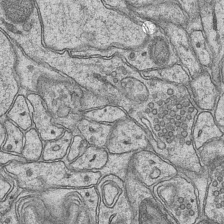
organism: Mouse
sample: CA1 Hippocampus